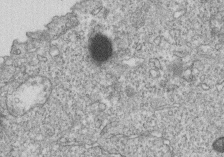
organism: Human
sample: HeLa cell HIV synapse